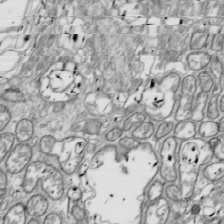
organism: Drosophila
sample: Cell division; meiosis; drosophila spermatocytes